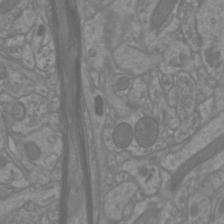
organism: Mouse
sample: Cortical neurons